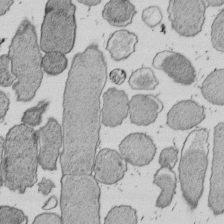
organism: E. coli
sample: Bacterial nucleoid